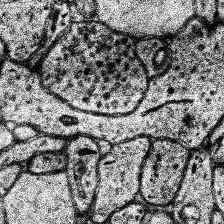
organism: Human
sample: Temporal Lobe